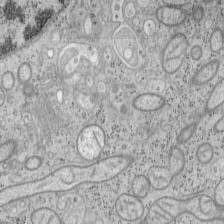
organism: Mouse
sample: OT-I killer T cells with ID8 ovarian cancer cells